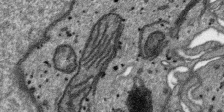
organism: Human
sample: Lung epithelial cells, uninfected (mock) control